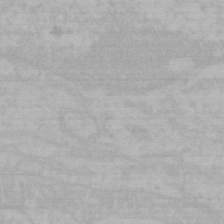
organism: Mouse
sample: Choroid plexus